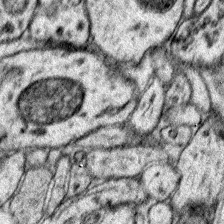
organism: Mouse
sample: Primary visual cortex